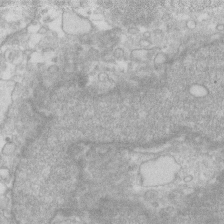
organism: Human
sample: Fibroblast cells